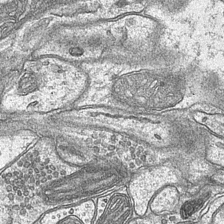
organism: Mouse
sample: CA1 Hippocampus